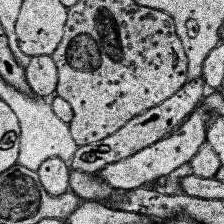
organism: Human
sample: Temporal Lobe